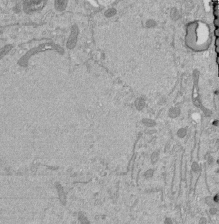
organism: Mouse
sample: ED-1 cell nuclei; centrioles